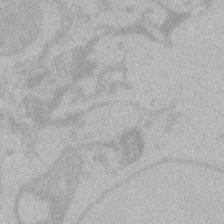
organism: Zebrafish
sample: Macrophage infected with Toxoplasma gondii